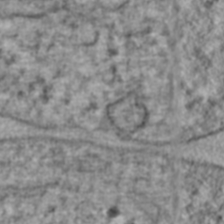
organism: Human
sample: Blood